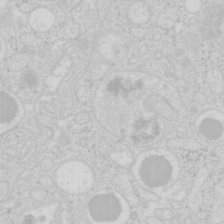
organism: Mouse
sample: Pancreas